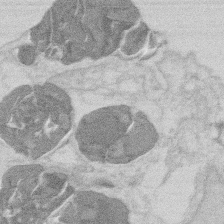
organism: Mouse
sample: T cell stromal cell synapse